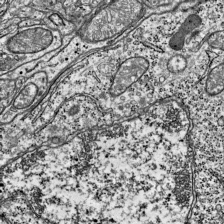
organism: Mouse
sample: Visual Cortex